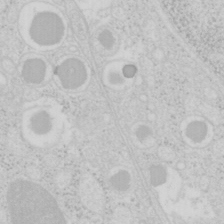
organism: Mouse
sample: Pancreas